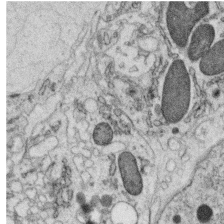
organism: C. elegans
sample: C. elegans oocyte; sperm cells